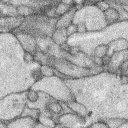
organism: Rabbit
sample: Retina